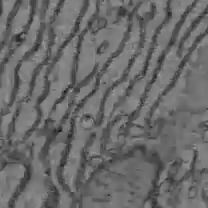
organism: C57BL Mouse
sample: Liver